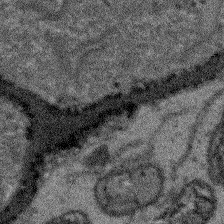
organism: Arabidopsis thaliana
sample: Root tip